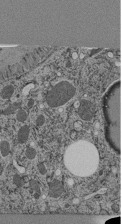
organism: C. elegans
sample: C. elegans pharynx